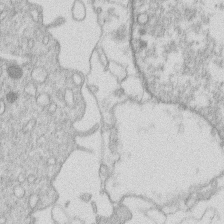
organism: Human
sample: Macrophage cells